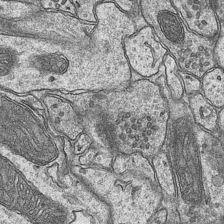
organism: Mouse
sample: CA1 Hippocampus